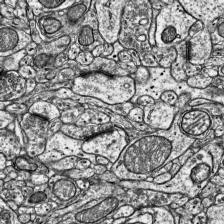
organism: Mouse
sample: Visual Cortex